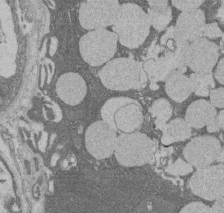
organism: Rat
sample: Salivary granule